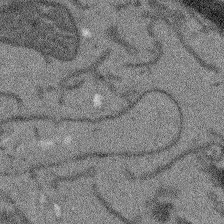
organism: Arabidopsis thaliana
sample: Root tip